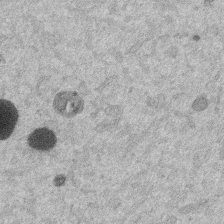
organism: Mouse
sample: Dividing mouse embryo 1 cell stage